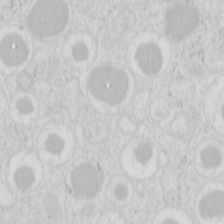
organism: Mouse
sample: Pancreas